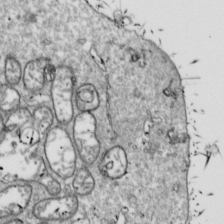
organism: Drosophila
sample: Cell division; meiosis; drosophila spermatocytes